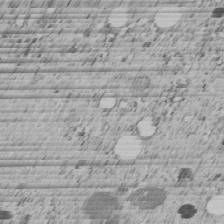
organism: C. elegans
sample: C. elegans embryo early stage